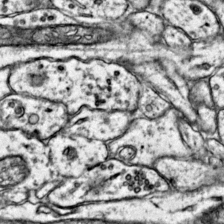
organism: Mouse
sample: Primary visual cortex